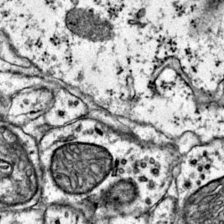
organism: Mouse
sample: Primary visual cortex